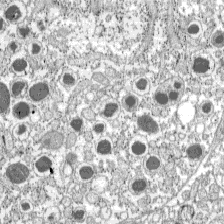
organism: C57BL Mouse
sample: Pancreatic islet